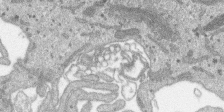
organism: Human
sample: Lung epithelial cells infected with SARS-CoV-2